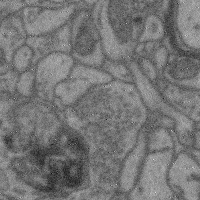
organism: Mouse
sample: Cerebral cortex